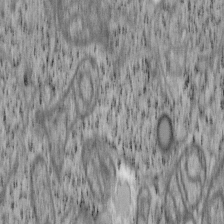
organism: Human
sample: HeLa cells